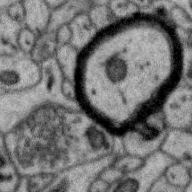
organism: Zebra finch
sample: Brain